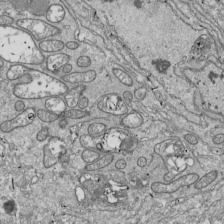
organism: Drosophila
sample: Cell division; meiosis; drosophila spermatocytes